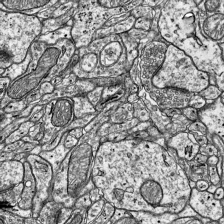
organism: Mouse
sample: Visual Cortex